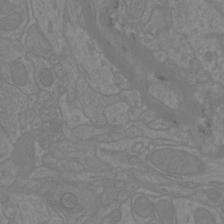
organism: Mouse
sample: Cortical neurons